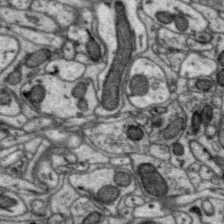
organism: Zebra finch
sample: Brain